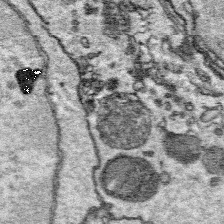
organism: Platynereis dumerilii